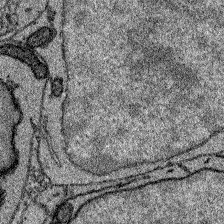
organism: Zebrafish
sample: Larval olfactory bulb